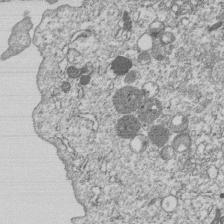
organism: Human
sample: MDA-MB-231 cells